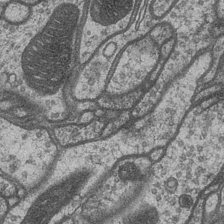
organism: Drosophila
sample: Optic medulla